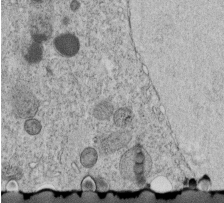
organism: C. elegans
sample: C. elegans embryo early stage